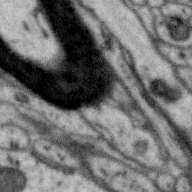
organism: Zebra finch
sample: Brain